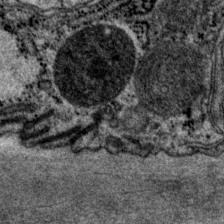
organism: P. pacificus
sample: Pharynx